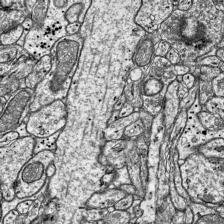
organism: Mouse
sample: Visual Cortex